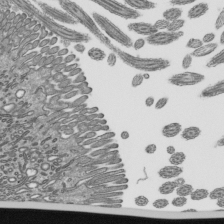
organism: Mouse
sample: Mouse epididymis efferent ductule cilia